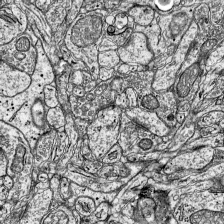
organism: Mouse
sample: Visual Cortex